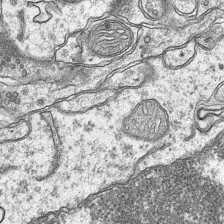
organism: Mouse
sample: CA1 Hippocampus